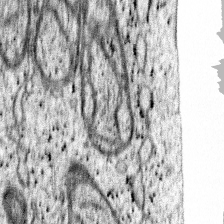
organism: Human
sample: HeLa cells